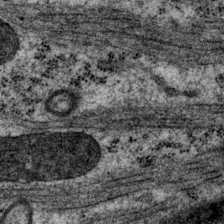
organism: P. pacificus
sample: Pharynx